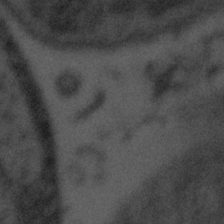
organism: Tuwongella immobilis